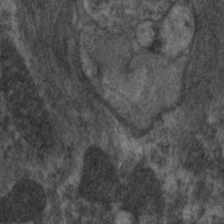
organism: C. elegans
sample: Pharynx